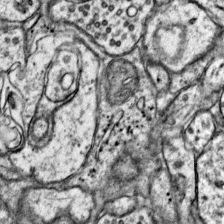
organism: Mouse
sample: Primary visual cortex